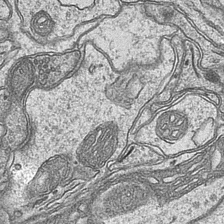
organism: Mouse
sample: CA1 Hippocampus